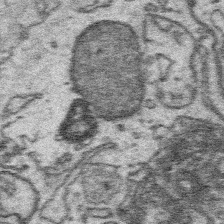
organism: Platynereis dumerilii